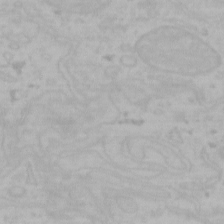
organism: Mouse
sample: Choroid plexus